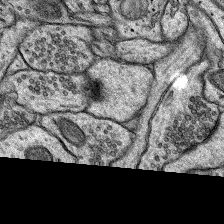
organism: Rat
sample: Hippocampus